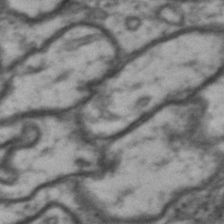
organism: Drosophila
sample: Brain